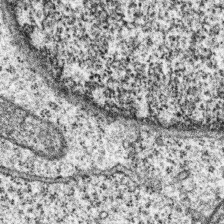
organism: Human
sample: HeLa cells